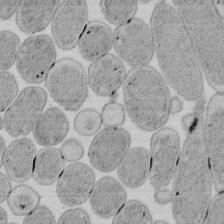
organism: E. coli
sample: Bacterial nucleoid